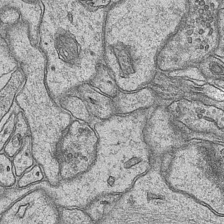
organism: Mouse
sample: CA1 Hippocampus